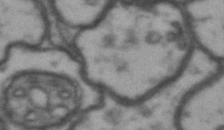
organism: Drosophila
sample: Brain